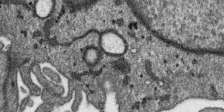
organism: Human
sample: Lung epithelial cells infected with SARS-CoV-2